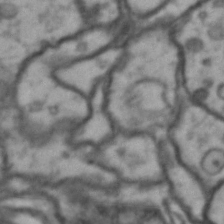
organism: Drosophila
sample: Brain